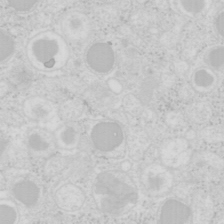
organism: Mouse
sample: Pancreas